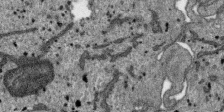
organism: Human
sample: Lung epithelial cells, uninfected (mock) control